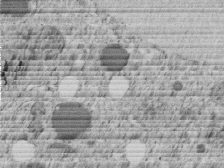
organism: C. elegans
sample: C. elegans embryo early stage